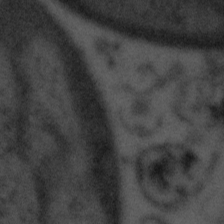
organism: Tuwongella immobilis